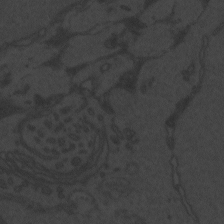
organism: Zebrafish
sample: Macrophage infected with Toxoplasma gondii